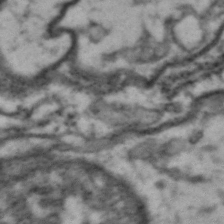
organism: Drosophila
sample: Brain